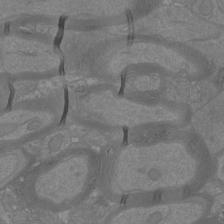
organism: Mouse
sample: Cortical neurons